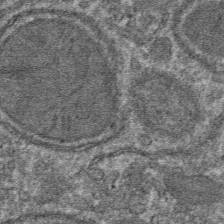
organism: Mouse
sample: Mouse hepatocytes